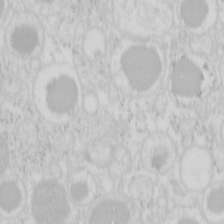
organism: Mouse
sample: Pancreas